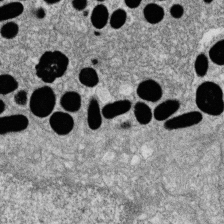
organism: Zebrafish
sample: Cilia; retinal pigment epithelium